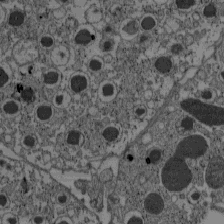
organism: C57BL Mouse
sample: Pancreatic islet